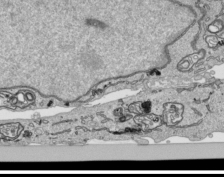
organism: Human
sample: Mitochondria in HCT116 cells